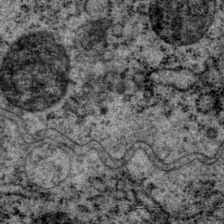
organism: P. pacificus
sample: Pharynx